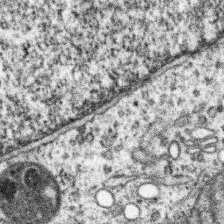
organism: Human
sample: HeLa cells